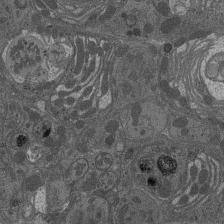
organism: Drosophila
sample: Antenna